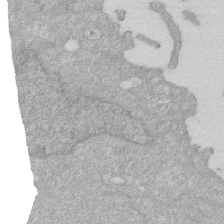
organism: Human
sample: HIV infected U937 cells